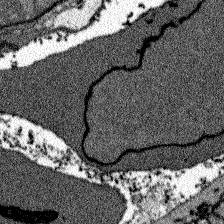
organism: Zebrafish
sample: Larval olfactory bulb